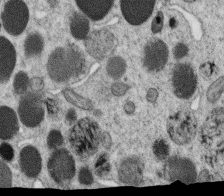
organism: C. elegans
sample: C. elegans oocyte; sperm cells